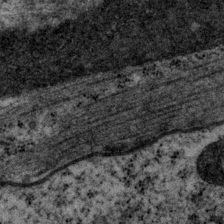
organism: P. pacificus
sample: Pharynx